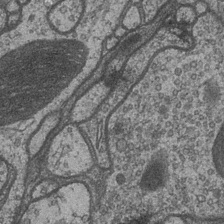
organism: Drosophila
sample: Optic medulla